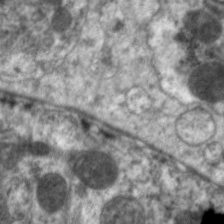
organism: C. elegans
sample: Pharynx